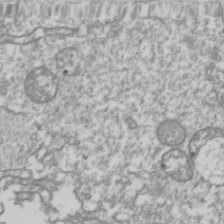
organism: Drosophila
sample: Cell division; meiosis; drosophila spermatocytes